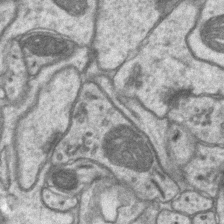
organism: Mouse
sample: CA1 Hippocampus